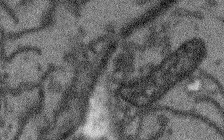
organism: Arabidopsis thaliana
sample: Root tip